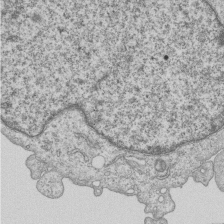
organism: Human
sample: MDA-MB-231 cells